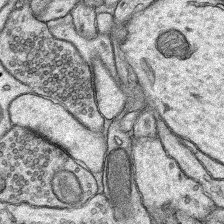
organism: Rat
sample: Hippocampus